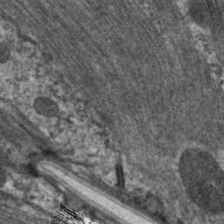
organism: C. elegans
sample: Pharynx